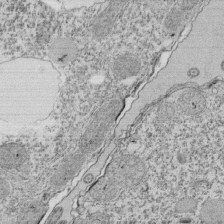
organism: Tetrahymena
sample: Cilia in tetrahymena